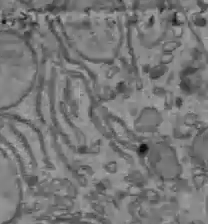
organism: C57BL Mouse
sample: Liver